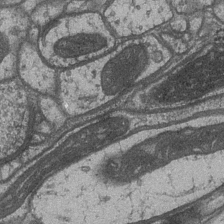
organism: Drosophila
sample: Optic medulla